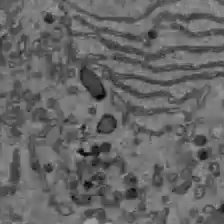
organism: C57BL Mouse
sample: Liver